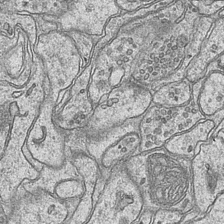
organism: Mouse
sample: CA1 Hippocampus